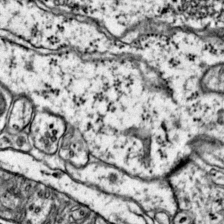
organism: Mouse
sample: Primary visual cortex